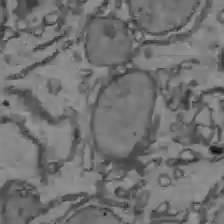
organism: C57BL Mouse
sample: Liver